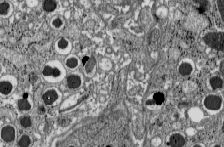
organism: C57BL Mouse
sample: Pancreatic islet